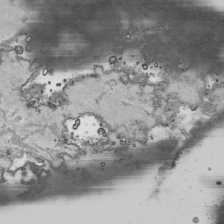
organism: Human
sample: Mitochondria in HCT116 cells